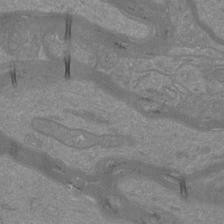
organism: Mouse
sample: Cortical neurons